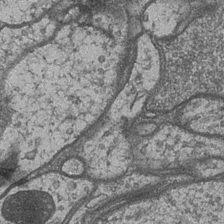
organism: Drosophila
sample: Optic medulla